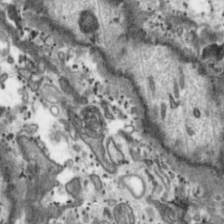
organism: Toxoplasma gondii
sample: Parasites in a vacuole inside a host cell